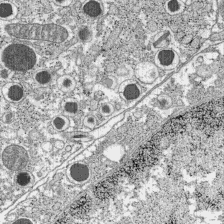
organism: C57BL Mouse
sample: Pancreatic islet